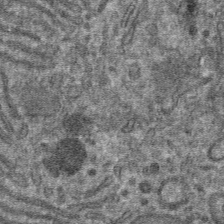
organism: Mouse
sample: Mouse hepatocytes